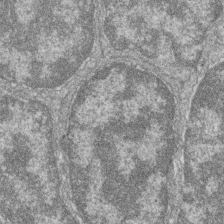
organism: Zebrafish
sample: Cilia; retinal pigment epithelium